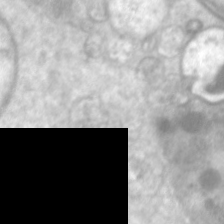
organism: C. elegans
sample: Pharynx